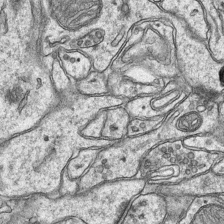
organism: Mouse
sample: CA1 Hippocampus